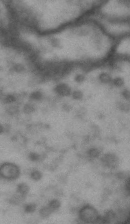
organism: Drosophila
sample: Brain